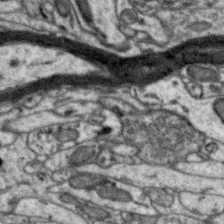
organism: Zebra finch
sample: Brain